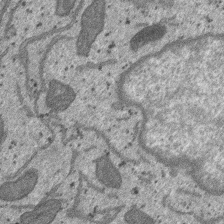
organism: Human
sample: Lung epithelial cells infected with SARS-CoV-2